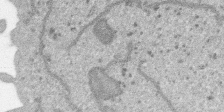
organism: Human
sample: Lung epithelial cells infected with SARS-CoV-2